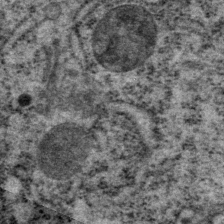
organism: P. pacificus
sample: Pharynx